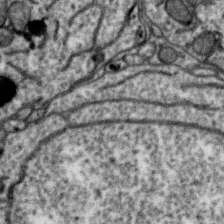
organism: Zebra finch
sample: Brain